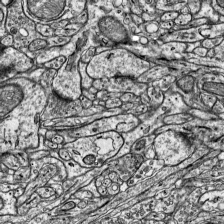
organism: Mouse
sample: Visual Cortex